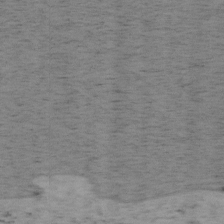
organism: Mouse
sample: OT-I killer T cells with ID8 ovarian cancer cells